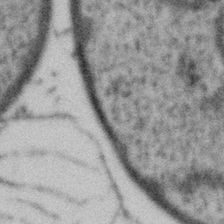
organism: Gemmata obscuriglobus